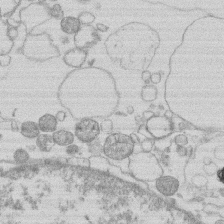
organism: Human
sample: Macrophage cells